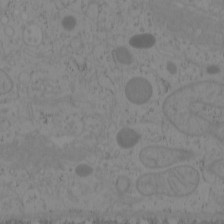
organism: Human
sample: HeLa cells